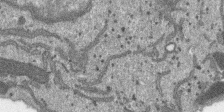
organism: Human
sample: Lung epithelial cells infected with SARS-CoV-2